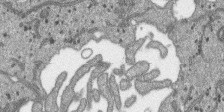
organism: Human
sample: Lung epithelial cells infected with SARS-CoV-2